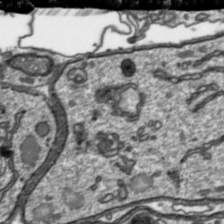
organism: Toxoplasma gondii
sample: Parasites in a vacuole inside a host cell